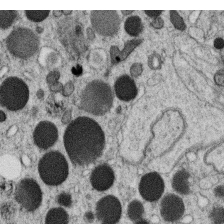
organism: C. elegans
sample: C. elegans oocyte; sperm cells